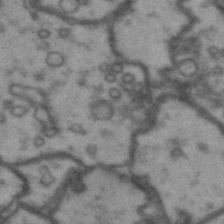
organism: Drosophila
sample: Brain